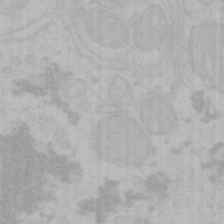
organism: Mouse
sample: Choroid plexus